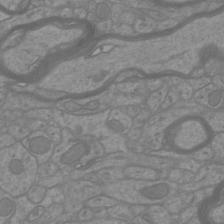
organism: Mouse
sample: Cortical neurons